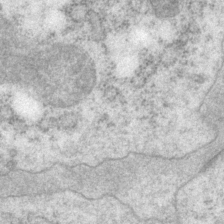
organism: P. pacificus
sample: Pharynx